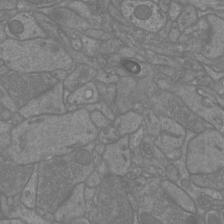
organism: Mouse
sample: Cortical neurons